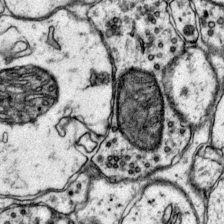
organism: Mouse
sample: Primary visual cortex